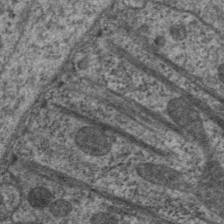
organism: C. elegans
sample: Pharynx